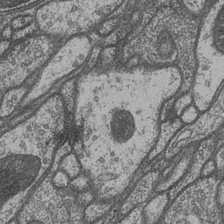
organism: Drosophila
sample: Optic medulla